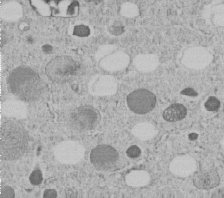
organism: C. elegans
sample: C. elegans embryo early stage